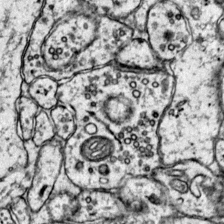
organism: Mouse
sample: Primary visual cortex